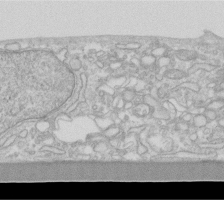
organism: Human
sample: Fibroblast cells